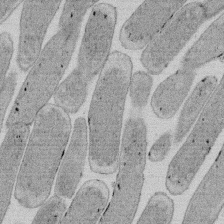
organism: E. coli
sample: Bacterial nucleoid